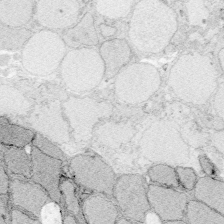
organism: Zebrafish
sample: Whole-Brain